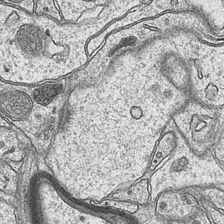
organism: Mouse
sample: CA1 Hippocampus